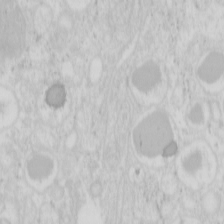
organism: Mouse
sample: Pancreas